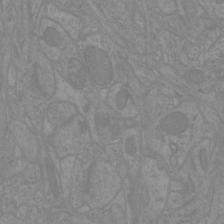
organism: Mouse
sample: Cortical neurons